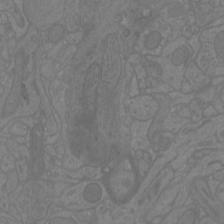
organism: Mouse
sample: Cortical neurons